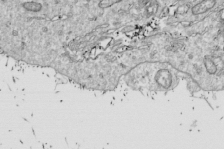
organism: Drosophila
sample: Cell division; meiosis; drosophila spermatocytes